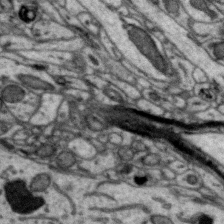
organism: Zebra finch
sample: Brain